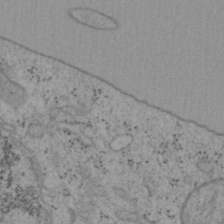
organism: Human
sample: HeLa cells